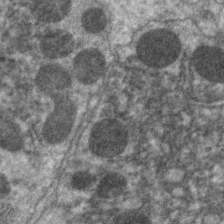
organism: C. elegans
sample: Pharynx